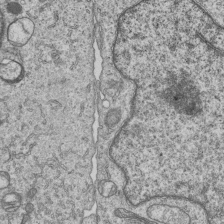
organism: Human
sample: MDA-MB-231 cells